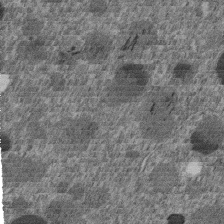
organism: C. elegans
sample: C. elegans embryo early stage